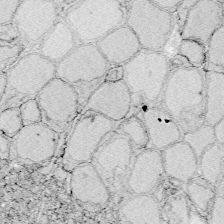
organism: Zebrafish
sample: Whole-Brain